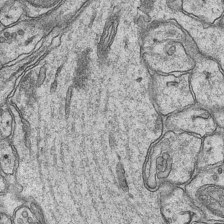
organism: Mouse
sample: CA1 Hippocampus